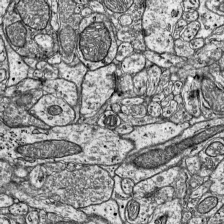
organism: Mouse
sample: Visual Cortex